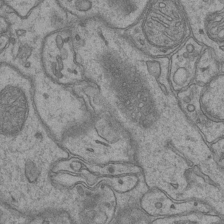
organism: Mouse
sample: CA1 Hippocampus